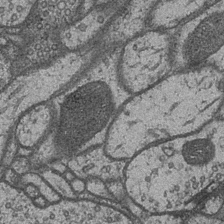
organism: Drosophila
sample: Optic medulla